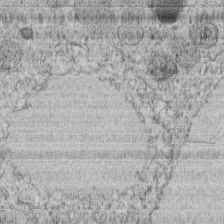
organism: C. elegans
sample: C. elegans embryo early stage